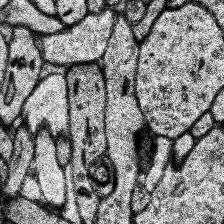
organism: Human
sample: Temporal Lobe